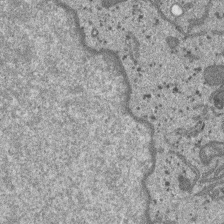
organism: Human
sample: Lung epithelial cells infected with SARS-CoV-2